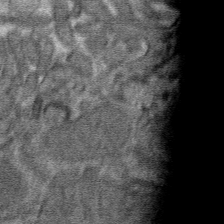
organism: Mouse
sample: Mouse hepatocytes